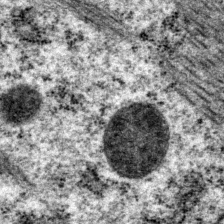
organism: P. pacificus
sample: Pharynx